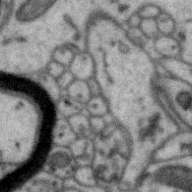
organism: Zebra finch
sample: Brain